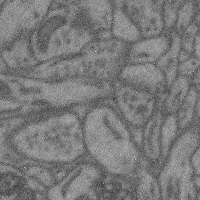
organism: Mouse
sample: Cerebral cortex